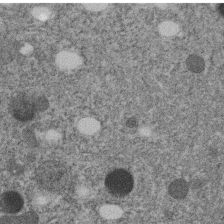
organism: C. elegans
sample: C. elegans embryo early stage